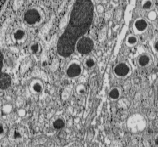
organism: C57BL Mouse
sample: Pancreatic islet